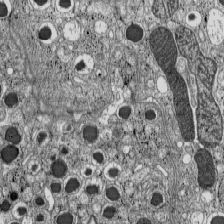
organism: C57BL Mouse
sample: Pancreatic islet